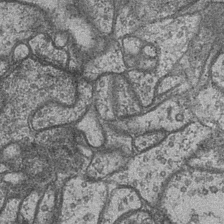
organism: Drosophila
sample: Optic medulla